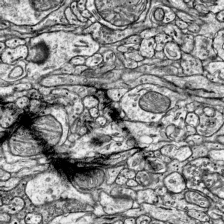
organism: Mouse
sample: Visual Cortex